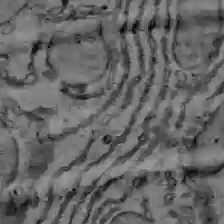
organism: C57BL Mouse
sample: Liver